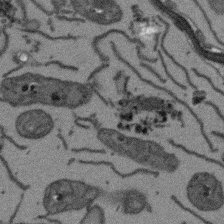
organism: Arabidopsis thaliana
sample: Root tip